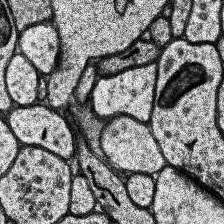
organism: Human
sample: Temporal Lobe